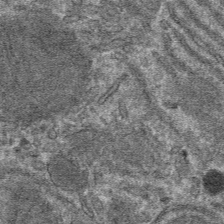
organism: Mouse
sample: Mouse hepatocytes